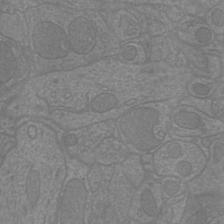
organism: Mouse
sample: Cortical neurons